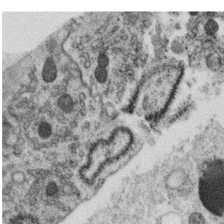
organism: C. elegans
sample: C. elegans oocyte; sperm cells